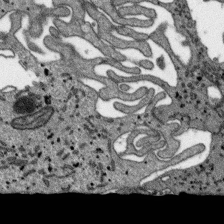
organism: Human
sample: Lung epithelial cells, uninfected (mock) control